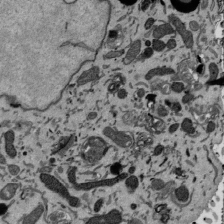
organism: Mouse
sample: ED-1 cell nuclei; centrioles